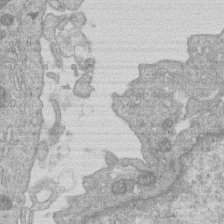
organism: Human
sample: Macrophage cells